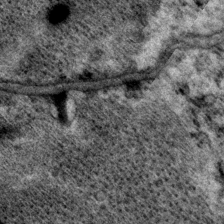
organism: P. pacificus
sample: Pharynx